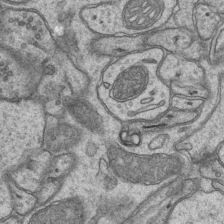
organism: Mouse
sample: CA1 Hippocampus